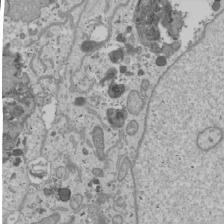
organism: Human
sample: Mitochondria in U2OS cells